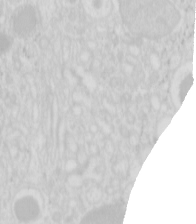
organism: Mouse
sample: Pancreas